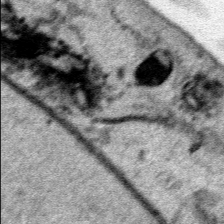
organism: Human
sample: Mitochondria in HCT116 cells